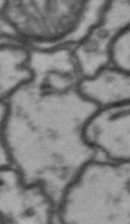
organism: Drosophila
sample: Brain